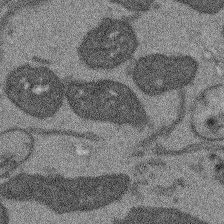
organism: Arabidopsis thaliana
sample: Root tip